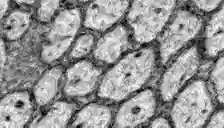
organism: Zebrafish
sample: Brain